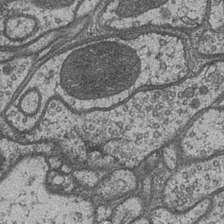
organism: Drosophila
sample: Optic medulla